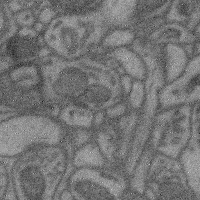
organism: Mouse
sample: Cerebral cortex